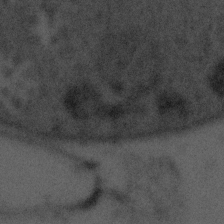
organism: Tuwongella immobilis